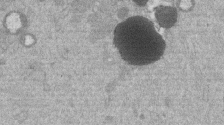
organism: Mouse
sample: Dividing mouse embryo 1 cell stage